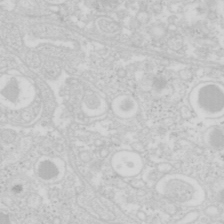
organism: Mouse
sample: Pancreas